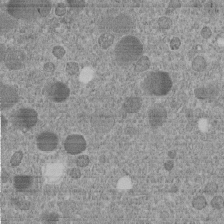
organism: C. elegans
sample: C. elegans embryo early stage